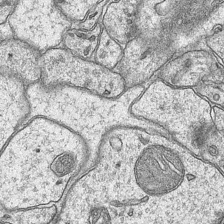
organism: Mouse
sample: CA1 Hippocampus